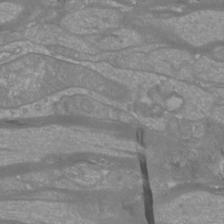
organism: Mouse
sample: Cortical neurons